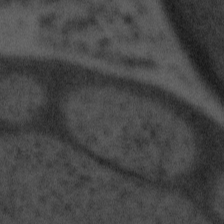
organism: Tuwongella immobilis